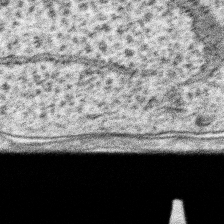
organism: Human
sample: HeLa cells